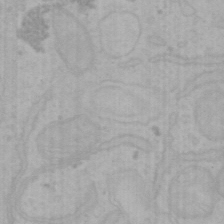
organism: Mouse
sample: Choroid plexus